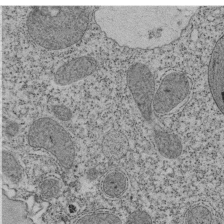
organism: Tetrahymena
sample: Cilia in tetrahymena